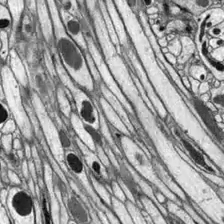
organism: Drosophila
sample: Optic lobe